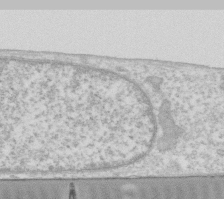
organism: Human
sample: Fibroblast cells